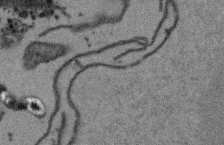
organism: Arabidopsis thaliana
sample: Root tip